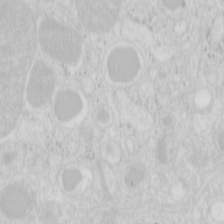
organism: Mouse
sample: Pancreas